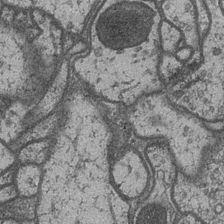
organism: Drosophila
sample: Optic medulla